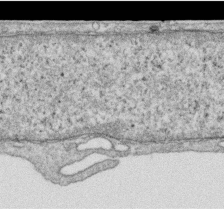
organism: Human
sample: Centriole in RPE cells